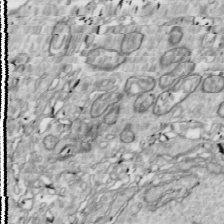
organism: Drosophila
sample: Cell division; meiosis; drosophila spermatocytes